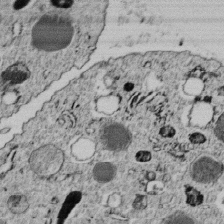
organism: C. elegans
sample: C. elegans embryo early stage